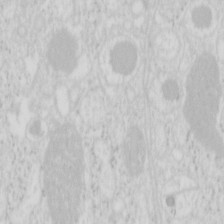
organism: Mouse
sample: Pancreas